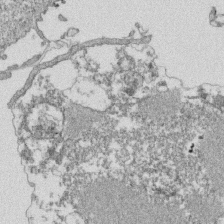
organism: Human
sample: HeLa cell HIV synapse